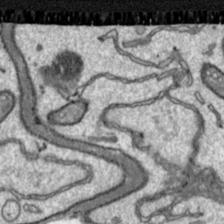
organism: Toxoplasma gondii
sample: Parasites in a vacuole inside a host cell